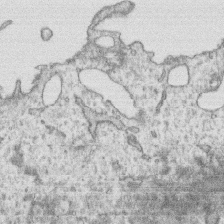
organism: Human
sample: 1205lu cells